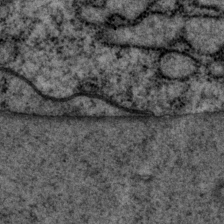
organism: P. pacificus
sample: Pharynx